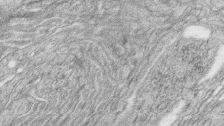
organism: Zebrafish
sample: synaptic ribbons in rod cells and cone cells